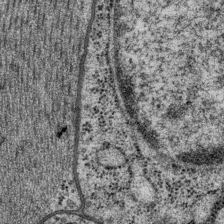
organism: P. pacificus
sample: Pharynx